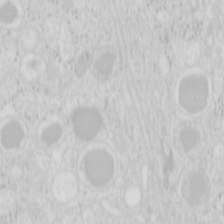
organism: Mouse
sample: Pancreas